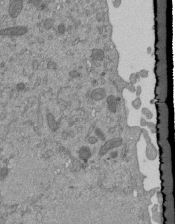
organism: Mouse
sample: ED-1 cell nuclei; centrioles